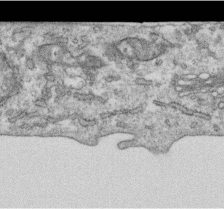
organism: Human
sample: Centriole in RPE cells